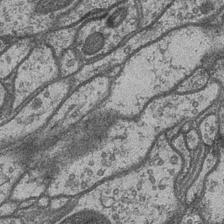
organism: Drosophila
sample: Optic medulla